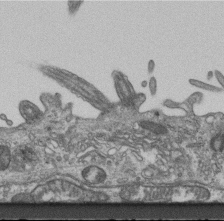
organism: Mouse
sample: Centriole in ependymal cells